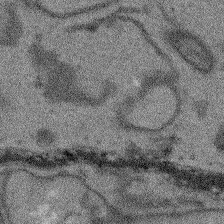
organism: Arabidopsis thaliana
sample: Root tip